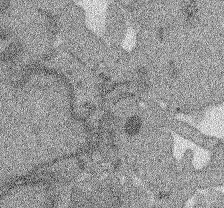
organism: Human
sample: HeLa cells